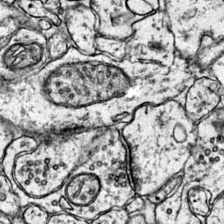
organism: Mouse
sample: Primary visual cortex